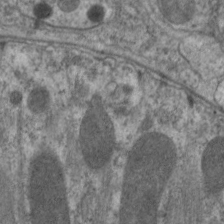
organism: C. elegans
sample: Pharynx